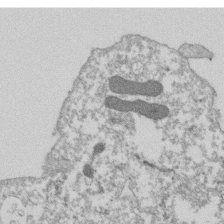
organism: Dictyostelium discoideum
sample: Dictyostelium multivesicular bodies